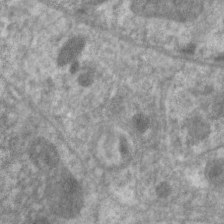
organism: C. elegans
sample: Pharynx